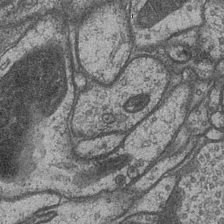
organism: Drosophila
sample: Optic medulla